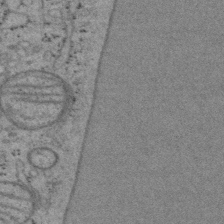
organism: Human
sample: HeLa cells